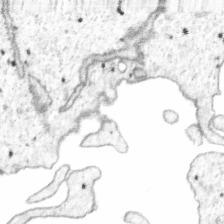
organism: Human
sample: HeLa cells